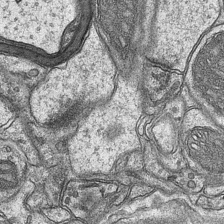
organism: Mouse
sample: CA1 Hippocampus